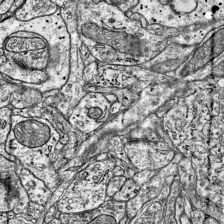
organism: Mouse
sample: Visual Cortex